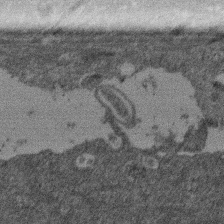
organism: Mouse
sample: Dividing mouse embryo 1 cell stage